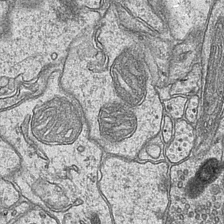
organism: Mouse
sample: CA1 Hippocampus